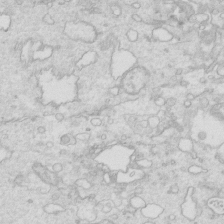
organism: Mouse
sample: Multiciliated cells